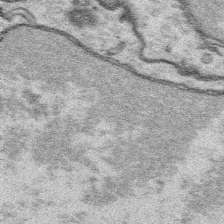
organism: Platynereis dumerilii